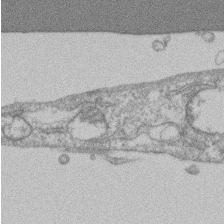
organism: Mouse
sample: T cell stromal cell synapse